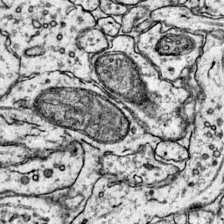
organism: Mouse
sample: Primary visual cortex